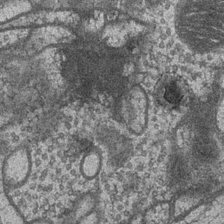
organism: Drosophila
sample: Optic medulla